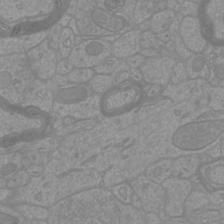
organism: Mouse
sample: Cortical neurons